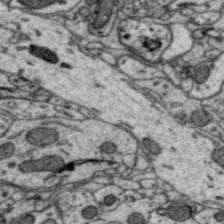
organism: Zebra finch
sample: Brain